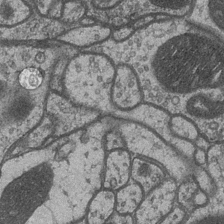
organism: Drosophila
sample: Optic medulla